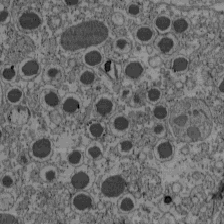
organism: C57BL Mouse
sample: Pancreatic islet